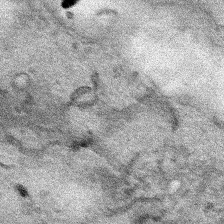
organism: Human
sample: Mitochondria in HCT116 cells